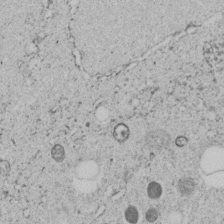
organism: C. elegans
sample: C. elegans embryo early stage